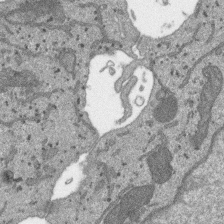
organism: Human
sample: Lung epithelial cells infected with SARS-CoV-2